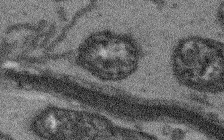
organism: Arabidopsis thaliana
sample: Root tip